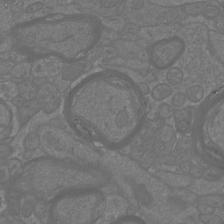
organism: Mouse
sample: Cortical neurons